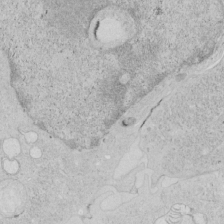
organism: Human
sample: Mitochondria in HCT116 cells